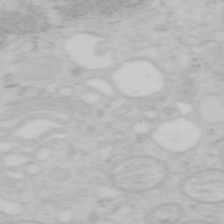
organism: Mouse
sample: OT-I killer T cells with ID8 ovarian cancer cells